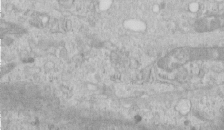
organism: Human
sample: Centriole in RPE cells